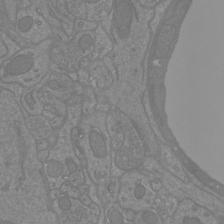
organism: Mouse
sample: Cortical neurons